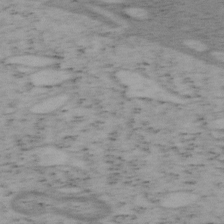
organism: Mouse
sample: OT-I killer T cells with ID8 ovarian cancer cells